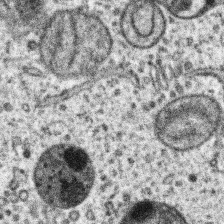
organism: Human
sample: HeLa cells